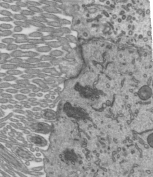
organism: Mouse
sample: Mouse epididymis efferent ductule cilia